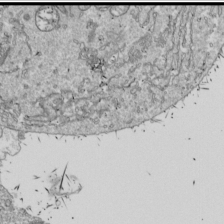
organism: Drosophila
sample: Cell division; meiosis; drosophila spermatocytes